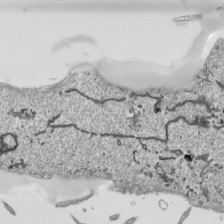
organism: Human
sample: Mitochondria in HCT116 cells